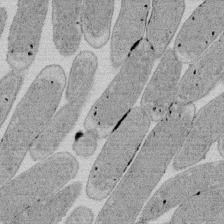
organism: E. coli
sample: Bacterial nucleoid